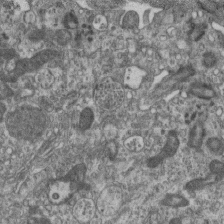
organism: Mouse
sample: Centriole in ependymal cells